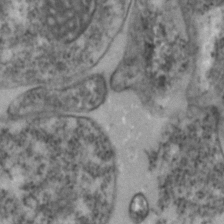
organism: Zebrafish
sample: Zebrafish embryo